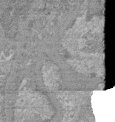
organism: Mouse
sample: Glomerulus